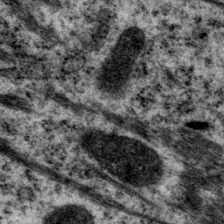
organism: P. pacificus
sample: Pharynx